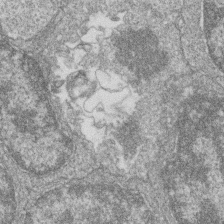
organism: Zebrafish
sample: Cilia; retinal pigment epithelium